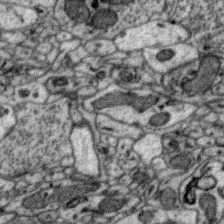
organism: Zebra finch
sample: Brain